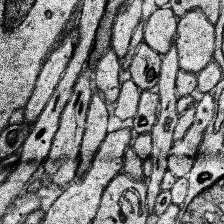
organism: Human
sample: Temporal Lobe